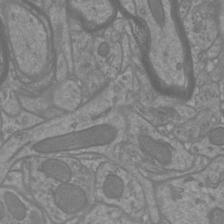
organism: Mouse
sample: Cortical neurons